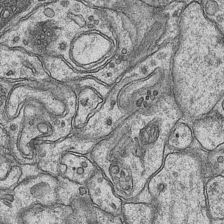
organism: Mouse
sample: CA1 Hippocampus